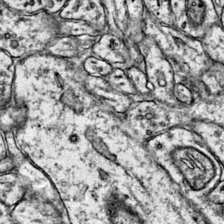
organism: Mouse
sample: Primary visual cortex